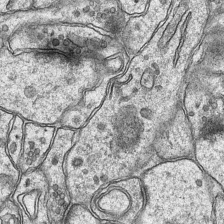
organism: Mouse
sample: CA1 Hippocampus